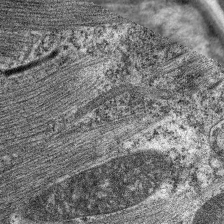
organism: C. elegans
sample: Pharynx